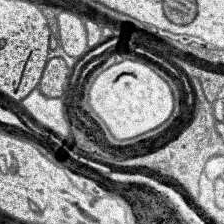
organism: Human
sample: Temporal Lobe